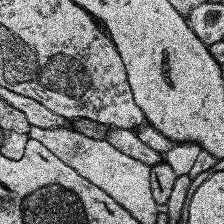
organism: Human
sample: Temporal Lobe